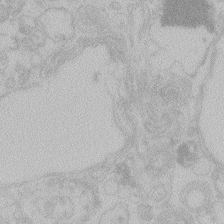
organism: Zebrafish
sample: Macrophage infected with Toxoplasma gondii